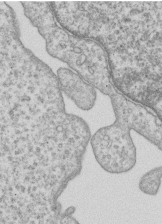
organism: Human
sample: MDA-MB-231 cells